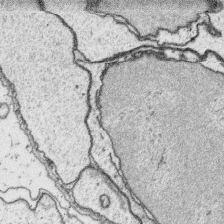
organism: Platynereis dumerilii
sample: Parapodia